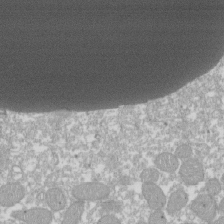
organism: Xenopus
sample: Cilia; centrioles in frog embryo cells